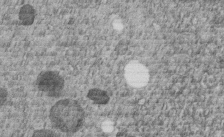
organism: C. elegans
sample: C. elegans embryo early stage